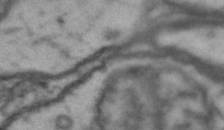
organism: Drosophila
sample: Brain